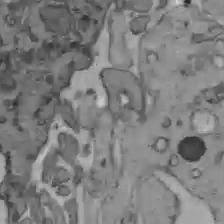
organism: C57BL Mouse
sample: Liver